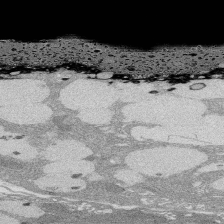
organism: Rat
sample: Salivary granule